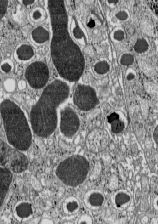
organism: C57BL Mouse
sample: Pancreatic islet